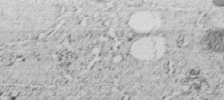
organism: C. elegans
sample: C. elegans embryo early stage